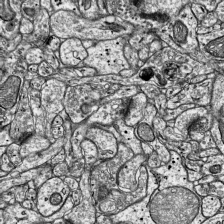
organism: Mouse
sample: Visual Cortex